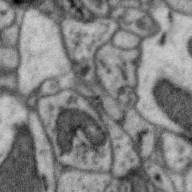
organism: Zebra finch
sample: Brain